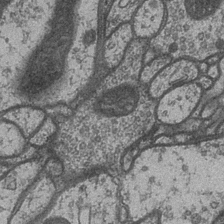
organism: Drosophila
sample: Optic medulla